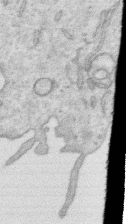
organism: Human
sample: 1205lu cells